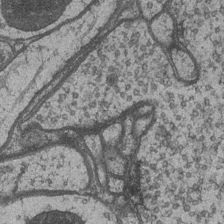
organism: Drosophila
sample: Optic medulla